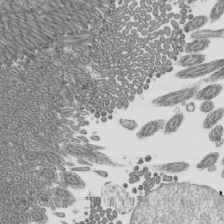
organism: Mouse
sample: Mouse epididymis efferent ductule cilia